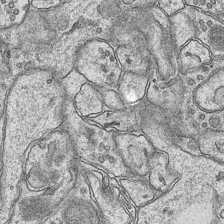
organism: Mouse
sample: CA1 Hippocampus